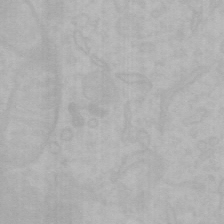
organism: Mouse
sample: Choroid plexus